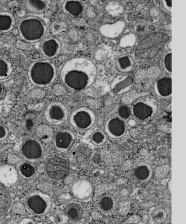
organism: C57BL Mouse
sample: Pancreatic islet